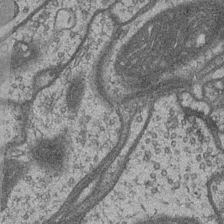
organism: Drosophila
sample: Optic medulla